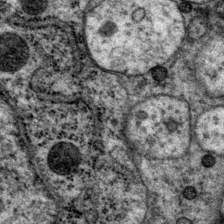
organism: P. pacificus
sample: Pharynx